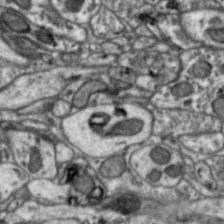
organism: Zebra finch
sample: Brain